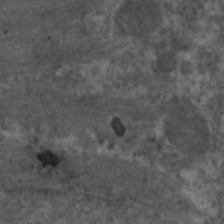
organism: C. elegans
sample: Pharynx